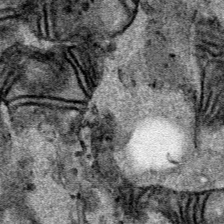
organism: Human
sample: Mitochondria in HCT116 cells